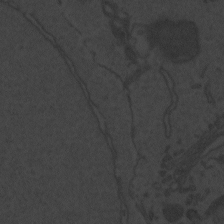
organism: Zebrafish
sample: Macrophage infected with Toxoplasma gondii